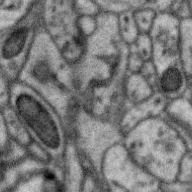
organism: Zebra finch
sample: Brain